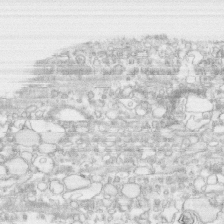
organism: Human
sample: CRL-1474